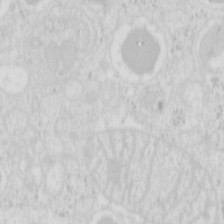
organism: Mouse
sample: Pancreas